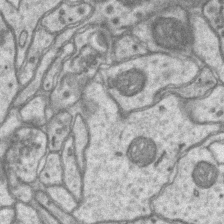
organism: Mouse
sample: CA1 Hippocampus